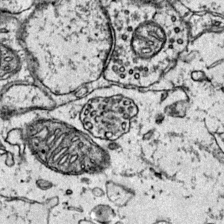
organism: Mouse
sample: Primary visual cortex